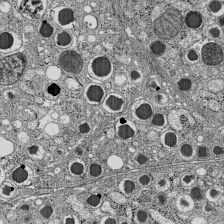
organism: C57BL Mouse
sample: Pancreatic islet